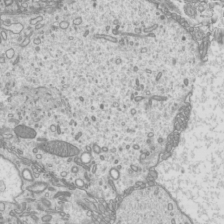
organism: Mouse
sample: Cilia; mouse epididymis